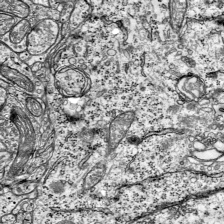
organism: Mouse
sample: Visual Cortex